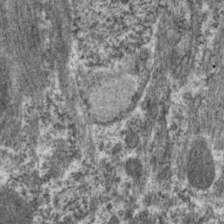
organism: C. elegans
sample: Pharynx